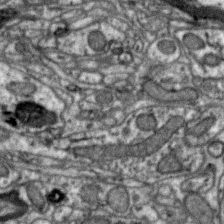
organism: Zebra finch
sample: Brain